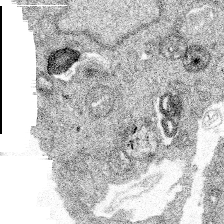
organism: Spongilla lacustris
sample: Multiple